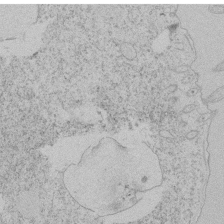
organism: Tetrahymena